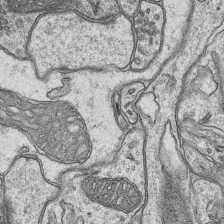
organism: Mouse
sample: CA1 Hippocampus